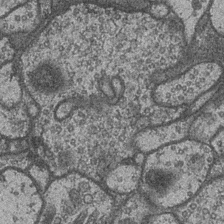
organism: Drosophila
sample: Optic medulla